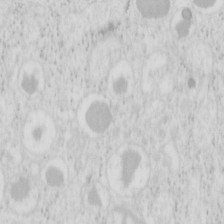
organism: Mouse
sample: Pancreas